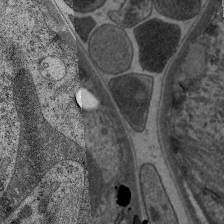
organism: C. elegans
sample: Pharynx